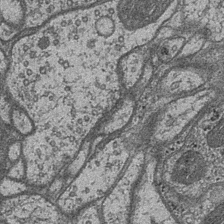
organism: Drosophila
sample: Optic medulla